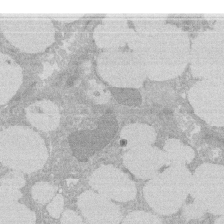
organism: Rat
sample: Salivary granule